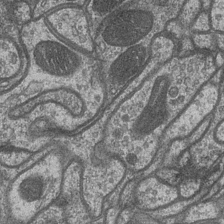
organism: Drosophila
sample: Optic medulla